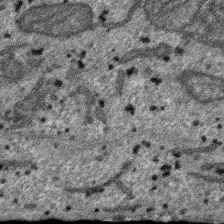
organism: Human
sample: Lung epithelial cells infected with SARS-CoV-2